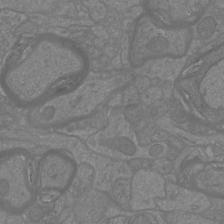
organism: Mouse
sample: Cortical neurons